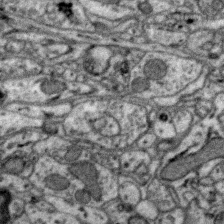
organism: Zebra finch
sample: Brain